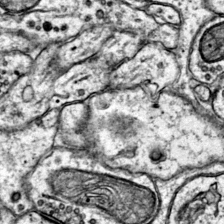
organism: Mouse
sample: Primary visual cortex